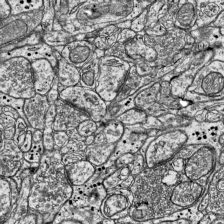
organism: Mouse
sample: Visual Cortex